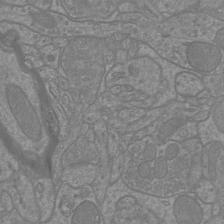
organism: Mouse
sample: Cortical neurons